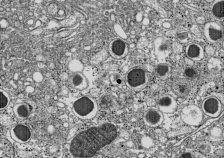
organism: C57BL Mouse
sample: Pancreatic islet